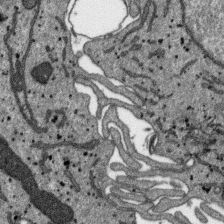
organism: Human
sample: Lung epithelial cells, uninfected (mock) control